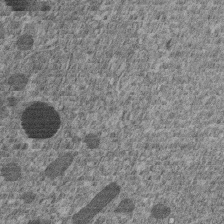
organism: C. elegans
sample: C. elegans embryo early stage